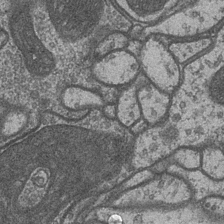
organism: Drosophila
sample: Optic medulla